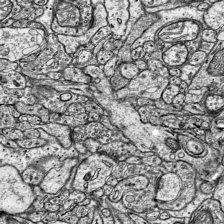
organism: Mouse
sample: Visual Cortex